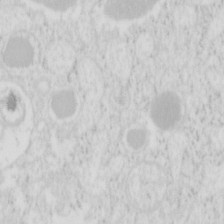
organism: Mouse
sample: Pancreas